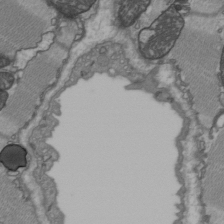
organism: C57BL Mouse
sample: Heart